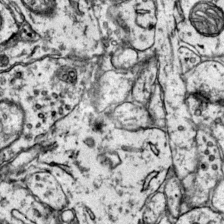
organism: Mouse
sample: Primary visual cortex